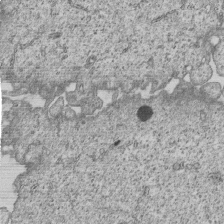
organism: Human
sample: MDA-MB-231 cells